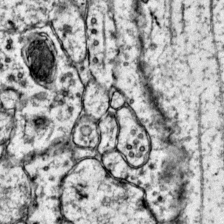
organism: Mouse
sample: Primary visual cortex